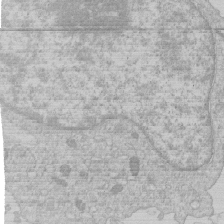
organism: Human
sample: Macrophage cells